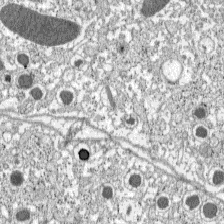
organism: C57BL Mouse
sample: Pancreatic islet